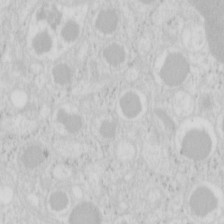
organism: Mouse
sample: Pancreas